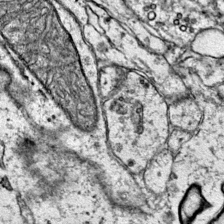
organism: Mouse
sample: Primary visual cortex